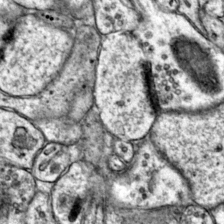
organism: Mouse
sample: Primary visual cortex